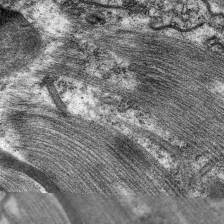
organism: C. elegans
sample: Pharynx